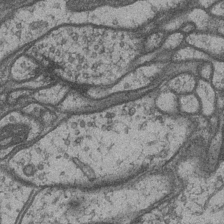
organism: Drosophila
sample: Optic medulla